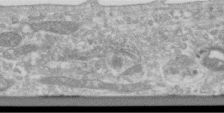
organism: Human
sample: Centriole in RPE cells